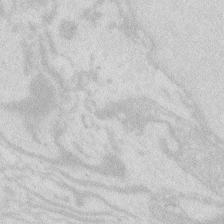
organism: Zebrafish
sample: Macrophage